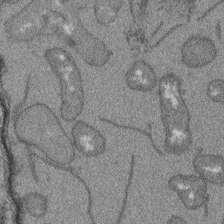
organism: Arabidopsis thaliana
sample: Root tip